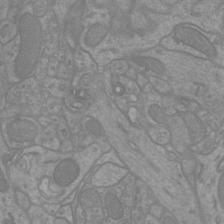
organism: Mouse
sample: Cortical neurons